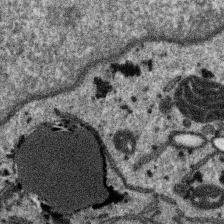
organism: Human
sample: Lung epithelial cells infected with SARS-CoV-2